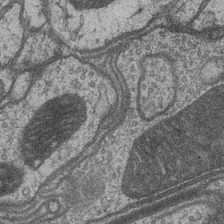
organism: Drosophila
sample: Optic medulla